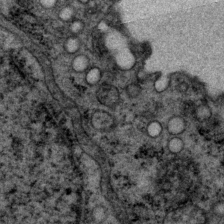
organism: P. pacificus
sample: Pharynx